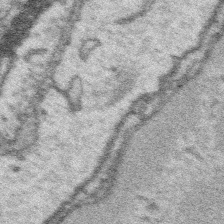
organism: Platynereis dumerilii